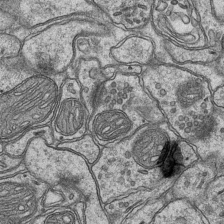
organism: Mouse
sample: CA1 Hippocampus